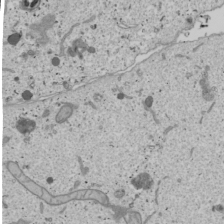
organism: Human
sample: Mitochondria in U2OS cells